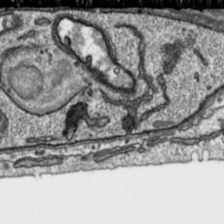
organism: Toxoplasma gondii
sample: Parasites in a vacuole inside a host cell